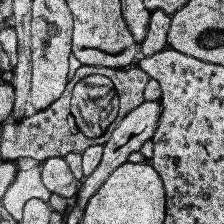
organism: Human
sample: Temporal Lobe